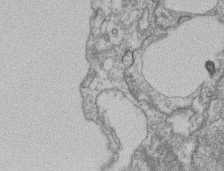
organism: Mouse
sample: T cell stromal cell synapse